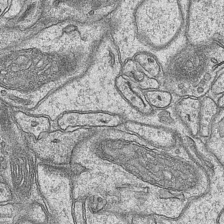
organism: Mouse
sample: CA1 Hippocampus